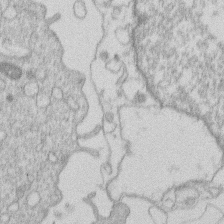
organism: Human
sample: Macrophage cells